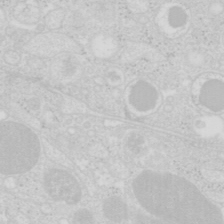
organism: Mouse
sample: Pancreas